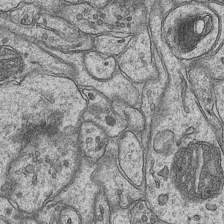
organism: Mouse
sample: CA1 Hippocampus